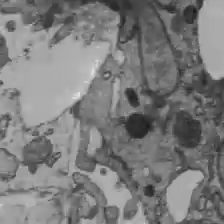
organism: C57BL Mouse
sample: Liver